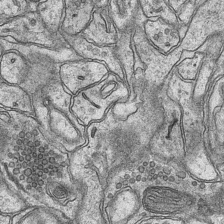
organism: Mouse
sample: CA1 Hippocampus